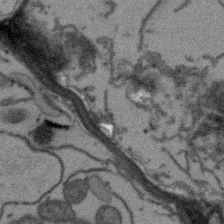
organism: Arabidopsis thaliana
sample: Root tip